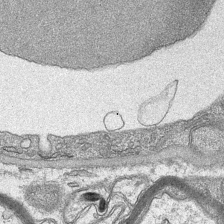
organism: Mouse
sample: CA1 Hippocampus